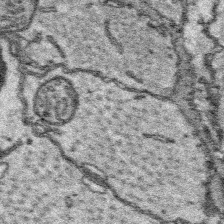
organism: Platynereis dumerilii